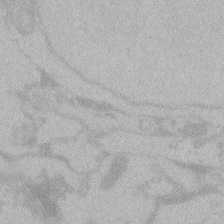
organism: Zebrafish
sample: Macrophage infected with Toxoplasma gondii